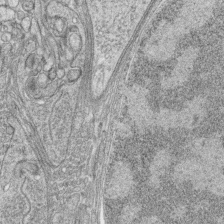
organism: Zebrafish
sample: synaptic ribbons in rod cells and cone cells